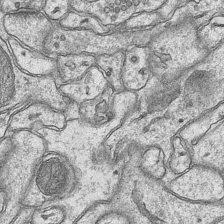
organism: Mouse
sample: CA1 Hippocampus